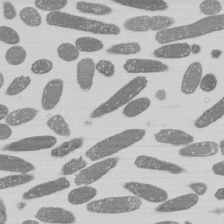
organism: E. coli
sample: Bacterial nucleoid